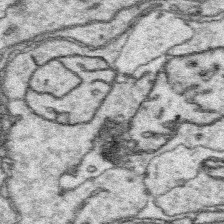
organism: Platynereis dumerilii